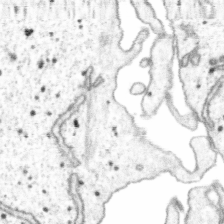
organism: Human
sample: HeLa cells